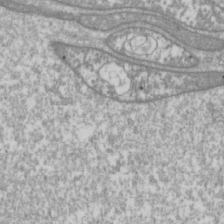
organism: Drosophila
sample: Cell division; meiosis; drosophila spermatocytes